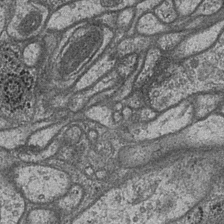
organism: Drosophila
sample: Optic medulla